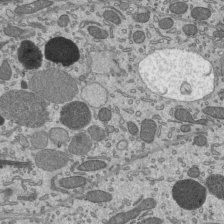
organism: Mouse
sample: Mouse epididymis efferent ductule cilia